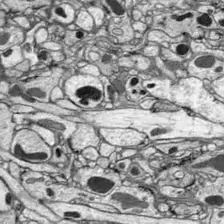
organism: Drosophila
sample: Optic lobe